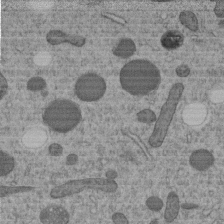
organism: C. elegans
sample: C. elegans embryo early stage